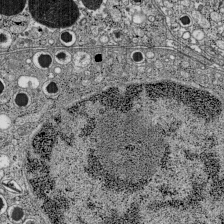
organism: C57BL Mouse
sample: Pancreatic islet